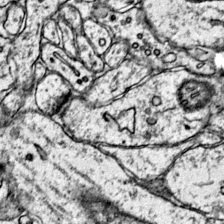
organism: Mouse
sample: Primary visual cortex